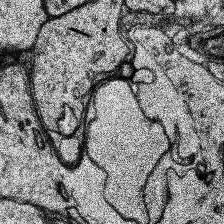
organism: Human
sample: Temporal Lobe